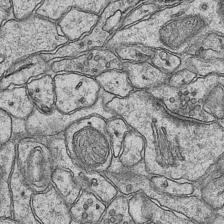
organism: Mouse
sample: CA1 Hippocampus